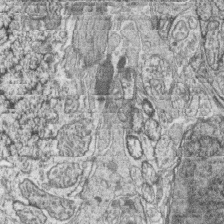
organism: Zebrafish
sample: synaptic ribbons in rod cells and cone cells